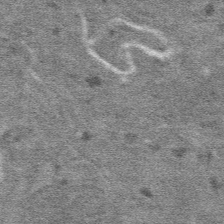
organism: Mouse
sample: Mouse hepatocytes